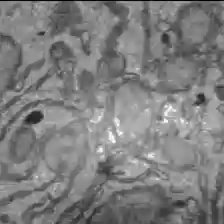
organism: C57BL Mouse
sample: Liver